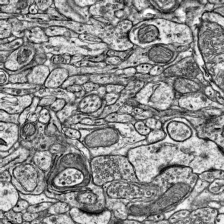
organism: Mouse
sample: Visual Cortex